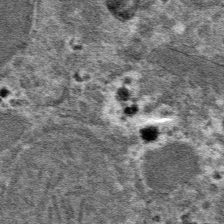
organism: Mouse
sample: Mouse hepatocytes